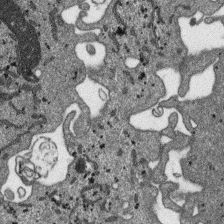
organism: Human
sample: Lung epithelial cells infected with SARS-CoV-2